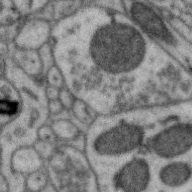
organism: Zebra finch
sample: Brain